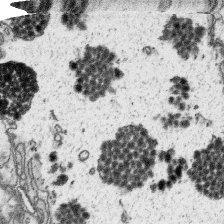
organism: Platynereis dumerilii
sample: Parapodia